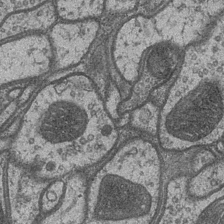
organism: Drosophila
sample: Optic medulla